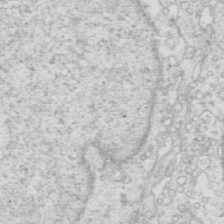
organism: Mouse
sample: Multiciliated cells